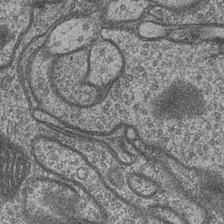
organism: Drosophila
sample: Optic medulla